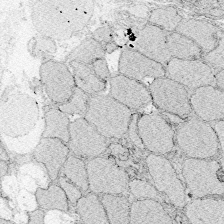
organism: Zebrafish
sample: Whole-Brain